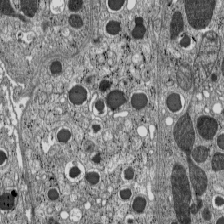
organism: C57BL Mouse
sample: Pancreatic islet